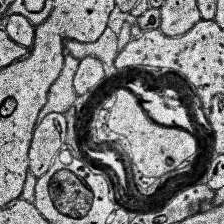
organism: Human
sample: Temporal Lobe